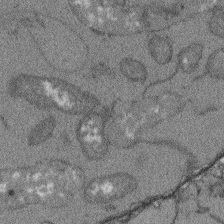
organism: Arabidopsis thaliana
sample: Root tip